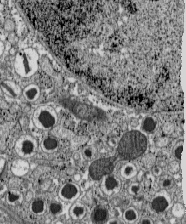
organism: C57BL Mouse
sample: Pancreatic islet